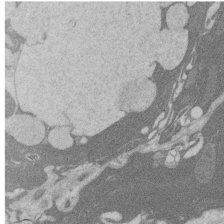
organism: Rat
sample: Salivary granule